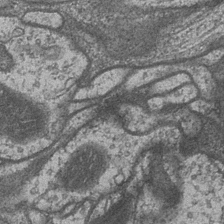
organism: Drosophila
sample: Optic medulla